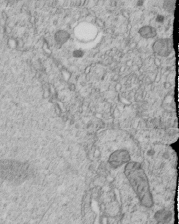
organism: C. elegans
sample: C. elegans embryo early stage